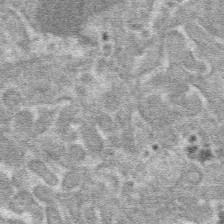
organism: Mouse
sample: Mouse hepatocytes